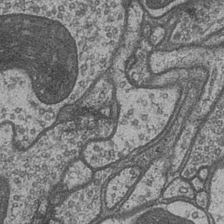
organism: Drosophila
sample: Optic medulla